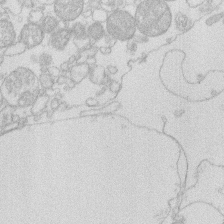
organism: Human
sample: Macrophage cells